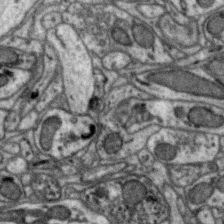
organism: Zebra finch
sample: Brain